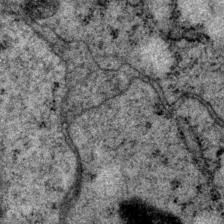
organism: P. pacificus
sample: Pharynx